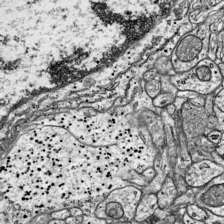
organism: Mouse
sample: Visual Cortex